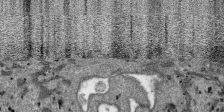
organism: Human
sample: Lung epithelial cells, uninfected (mock) control